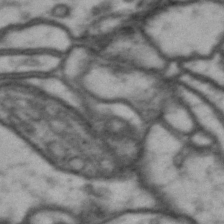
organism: Drosophila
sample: Brain